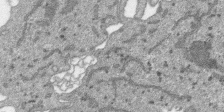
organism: Human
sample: Lung epithelial cells infected with SARS-CoV-2